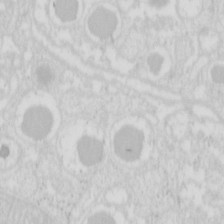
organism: Mouse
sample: Pancreas